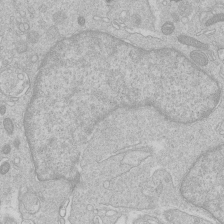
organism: Human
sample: Macrophage cells